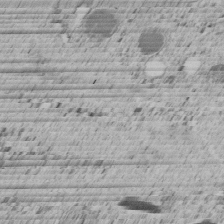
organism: C. elegans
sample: C. elegans embryo early stage